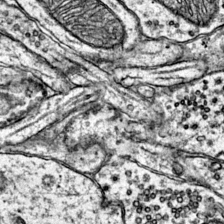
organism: Mouse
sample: Primary visual cortex